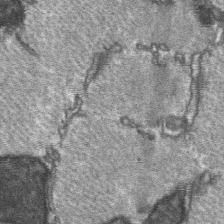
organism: C57BL Mouse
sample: Soleus